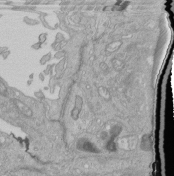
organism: Human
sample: Retinal organoid Rod and Cone cells